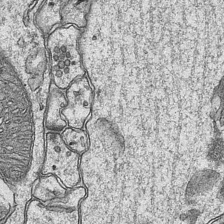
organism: Mouse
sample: CA1 Hippocampus